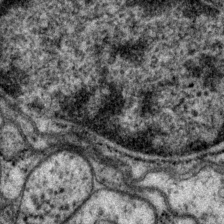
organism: P. pacificus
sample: Pharynx